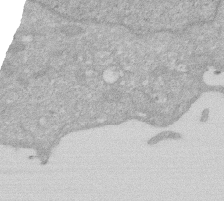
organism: Human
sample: HIV infected U937 cells